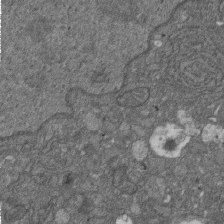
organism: Drosophila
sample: Nephrocyte